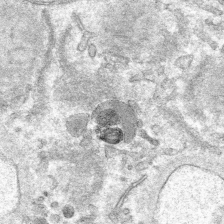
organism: Mouse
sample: Mouse hepatocytes